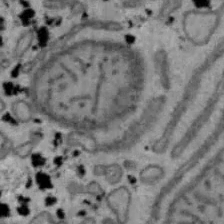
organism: Mouse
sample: Liver